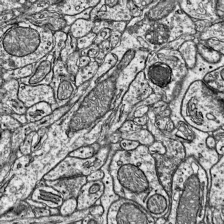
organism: Mouse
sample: Visual Cortex